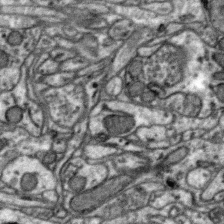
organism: Zebra finch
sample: Brain